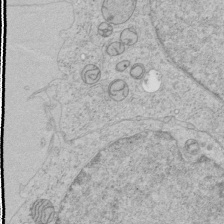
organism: Human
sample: Mitochondria in HCT116 cells